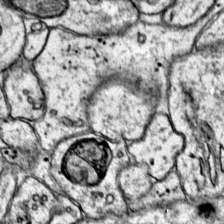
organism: Mouse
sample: Primary visual cortex